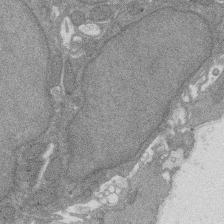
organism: Rat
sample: Salivary granule